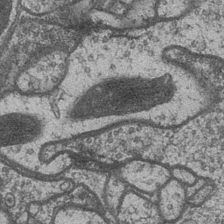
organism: Drosophila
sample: Optic medulla